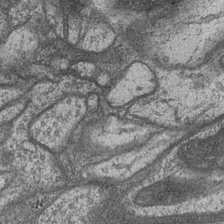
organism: Drosophila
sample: Optic medulla